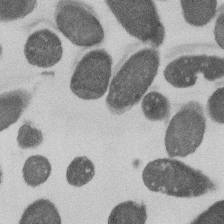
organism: E. coli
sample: Bacterial nucleoid